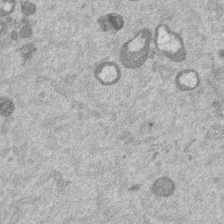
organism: Mouse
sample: Dividing mouse embryo 1 cell stage